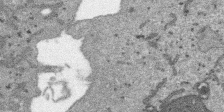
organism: Human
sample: Lung epithelial cells infected with SARS-CoV-2